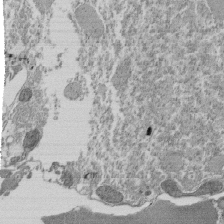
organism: Tetrahymena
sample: Cilia in tetrahymena